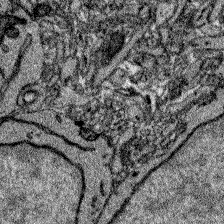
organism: Zebrafish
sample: Larval olfactory bulb